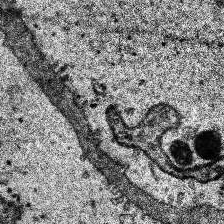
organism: Human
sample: Temporal Lobe